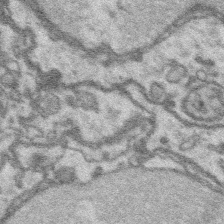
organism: Platynereis dumerilii